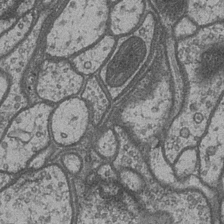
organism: Drosophila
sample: Optic medulla